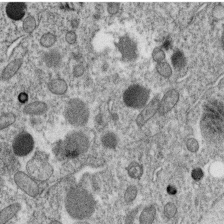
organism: C. elegans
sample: C. elegans oocyte; sperm cells